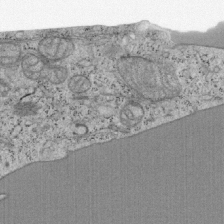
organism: Human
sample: HeLa cells